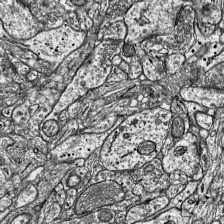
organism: Mouse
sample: Visual Cortex